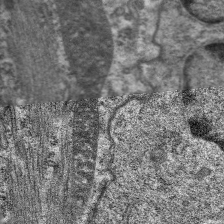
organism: C. elegans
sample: Pharynx